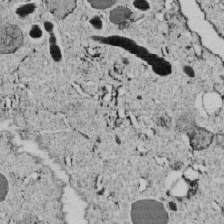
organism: C. elegans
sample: C. elegans embryo early stage